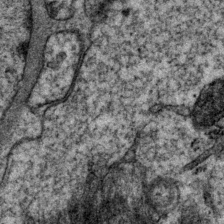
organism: P. pacificus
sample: Pharynx